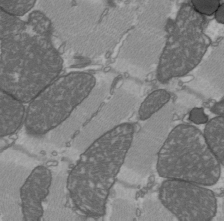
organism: C57BL Mouse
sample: Heart